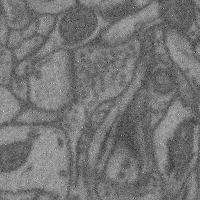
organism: Mouse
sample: Cerebral cortex